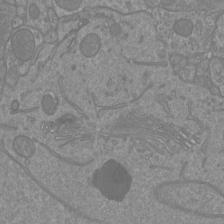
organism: Mouse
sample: Cortical neurons